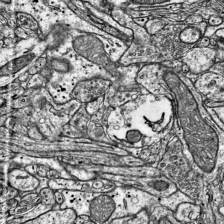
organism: Mouse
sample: Visual Cortex